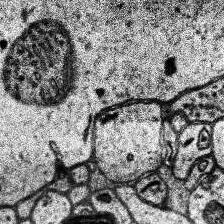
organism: Human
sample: Temporal Lobe